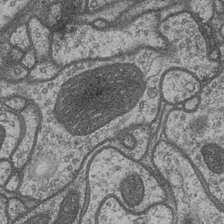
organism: Drosophila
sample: Optic medulla